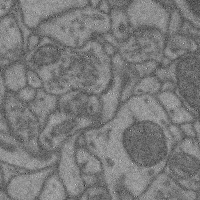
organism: Mouse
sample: Cerebral cortex